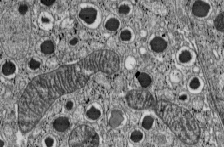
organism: C57BL Mouse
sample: Pancreatic islet